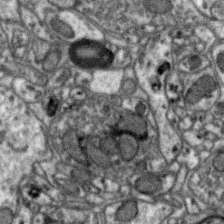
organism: Zebra finch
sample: Brain